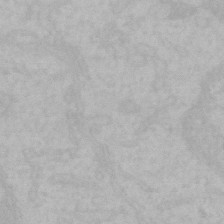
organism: Mouse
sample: Choroid plexus